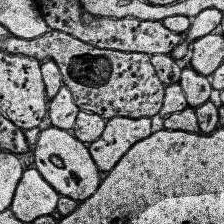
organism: Human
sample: Temporal Lobe